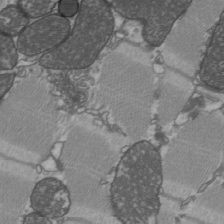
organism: C57BL Mouse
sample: Heart